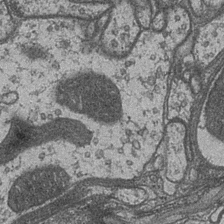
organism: Drosophila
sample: Optic medulla